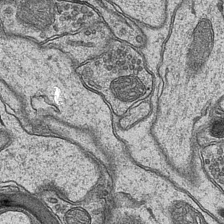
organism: Mouse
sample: CA1 Hippocampus